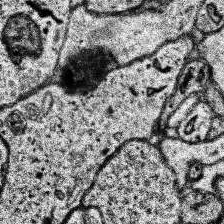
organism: Human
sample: Temporal Lobe